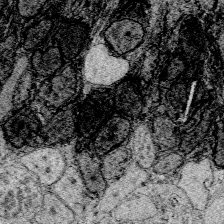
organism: Zebrafish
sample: Whole-Brain